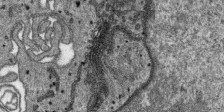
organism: Human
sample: Lung epithelial cells, uninfected (mock) control